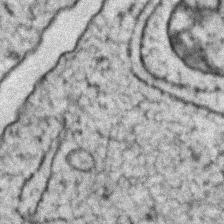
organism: Zebrafish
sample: Zebrafish embryo